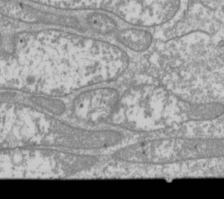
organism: Drosophila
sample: Cell division; meiosis; drosophila spermatocytes